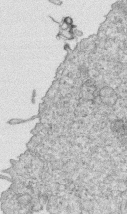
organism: Human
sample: HeLa cell HIV synapse